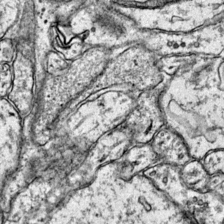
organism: Mouse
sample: Primary visual cortex